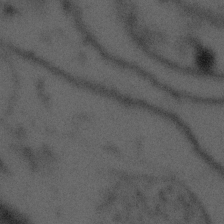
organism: Tuwongella immobilis